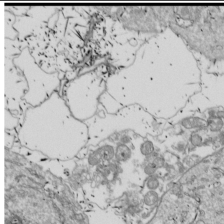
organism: Drosophila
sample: Cell division; meiosis; drosophila spermatocytes